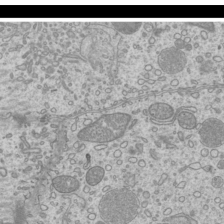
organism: Mouse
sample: Cilia; mouse epididymis